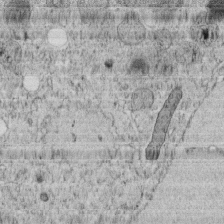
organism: C. elegans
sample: C. elegans embryo early stage